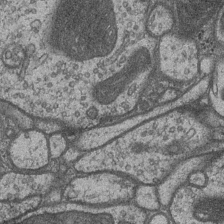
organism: Drosophila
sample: Optic medulla